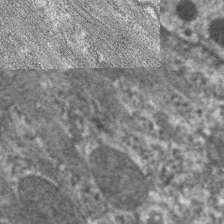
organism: C. elegans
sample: Pharynx